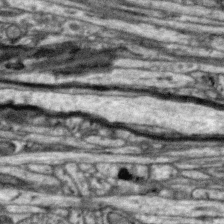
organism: Zebra finch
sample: Brain